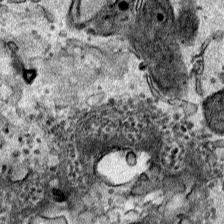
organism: Human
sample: Mitochondria in HCT116 cells